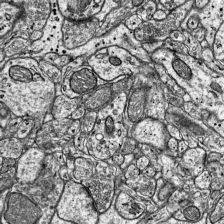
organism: Mouse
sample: Visual Cortex